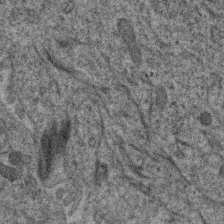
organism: Human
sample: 1205lu cells